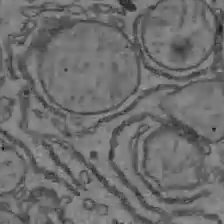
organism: C57BL Mouse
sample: Liver